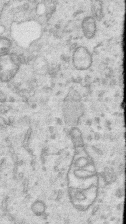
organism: Human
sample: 1205lu cells